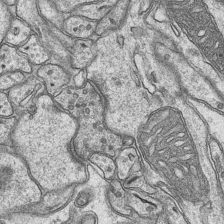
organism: Mouse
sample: CA1 Hippocampus